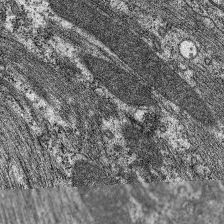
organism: C. elegans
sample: Pharynx